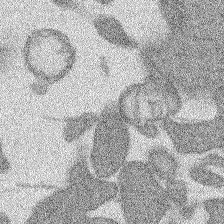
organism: Human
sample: HeLa cells